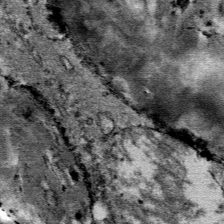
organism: Mouse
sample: Mouse Salivary gland